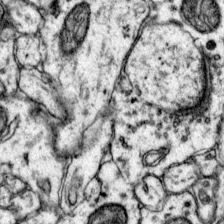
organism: Mouse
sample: Primary visual cortex